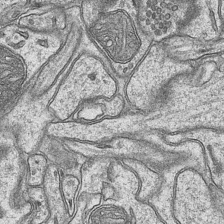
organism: Mouse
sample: CA1 Hippocampus